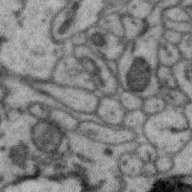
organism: Zebra finch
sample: Brain